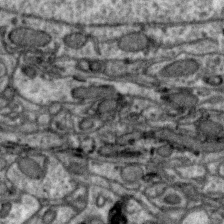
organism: Zebra finch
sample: Brain